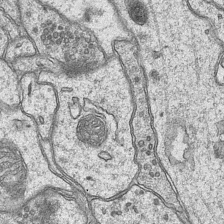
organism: Mouse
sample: CA1 Hippocampus